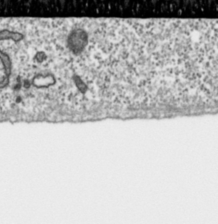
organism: Toxoplasma gondii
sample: Parasites in a vacuole inside a host cell